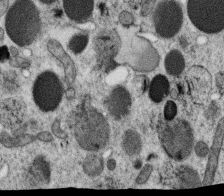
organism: C. elegans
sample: C. elegans oocyte; sperm cells